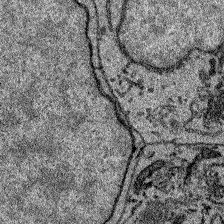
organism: Zebrafish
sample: Larval olfactory bulb